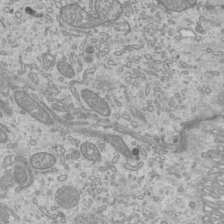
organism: Mouse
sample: Cilia; mouse epididymis